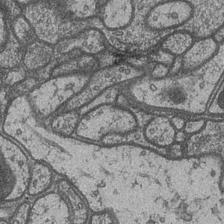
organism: Drosophila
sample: Optic medulla